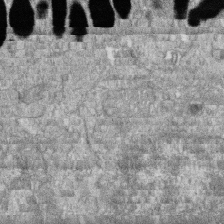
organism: Zebrafish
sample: Cilia; retinal pigment epithelium